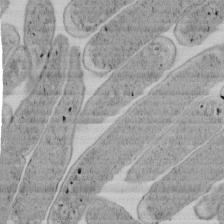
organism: E. coli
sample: Bacterial nucleoid